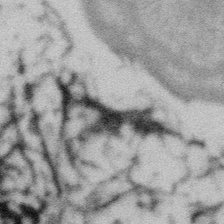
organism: Gemmata obscuriglobus